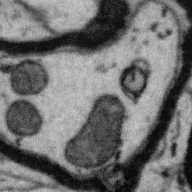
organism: Zebra finch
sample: Brain